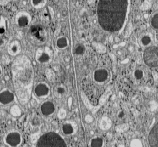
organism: C57BL Mouse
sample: Pancreatic islet